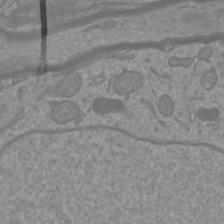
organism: Mouse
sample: Cortical neurons